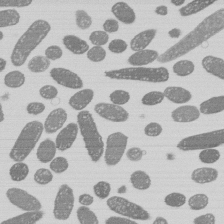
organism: E. coli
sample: Bacterial nucleoid